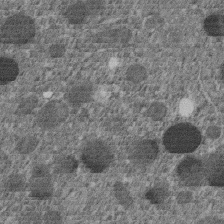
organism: C. elegans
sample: C. elegans embryo early stage